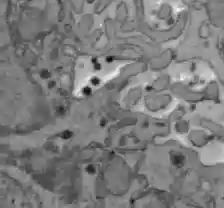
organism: C57BL Mouse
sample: Liver